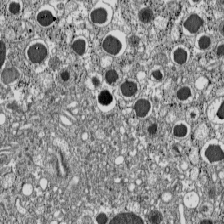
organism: C57BL Mouse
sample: Pancreatic islet